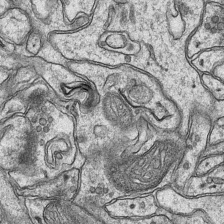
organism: Mouse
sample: CA1 Hippocampus